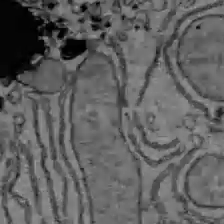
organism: C57BL Mouse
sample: Liver